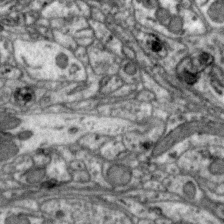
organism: Zebra finch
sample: Brain